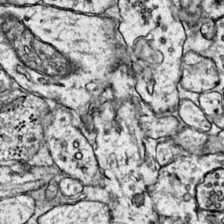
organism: Mouse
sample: Primary visual cortex